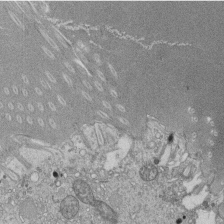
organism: Tetrahymena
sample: Cilia in tetrahymena